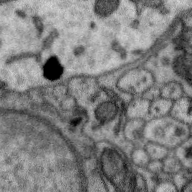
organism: Zebra finch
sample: Brain